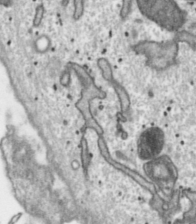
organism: Toxoplasma gondii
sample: Parasites in a vacuole inside a host cell